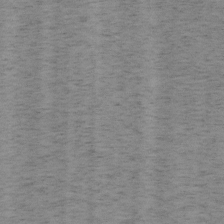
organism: Mouse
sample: OT-I killer T cells with ID8 ovarian cancer cells